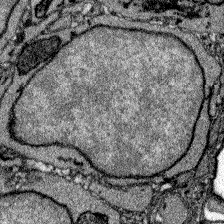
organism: Zebrafish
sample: Larval olfactory bulb